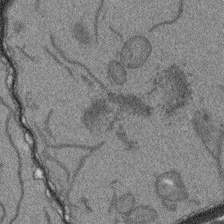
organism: Arabidopsis thaliana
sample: Root tip